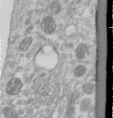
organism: Human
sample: Centriole in RPE cells